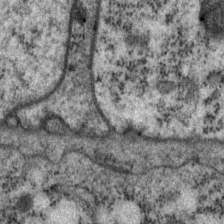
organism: P. pacificus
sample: Pharynx